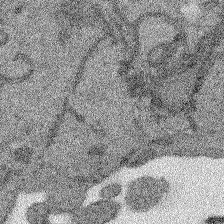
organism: Human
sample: HeLa cells